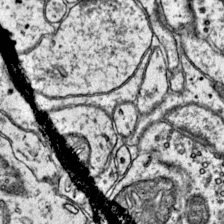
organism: Mouse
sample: Primary visual cortex